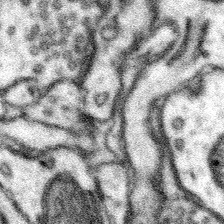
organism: Mouse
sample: Somatosensory cortex neuropil